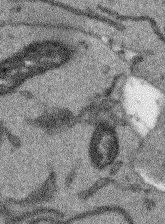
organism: Arabidopsis thaliana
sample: Root tip